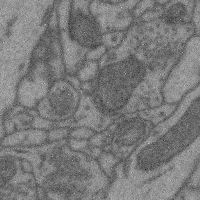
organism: Mouse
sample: Cerebral cortex